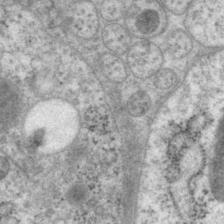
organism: P. pacificus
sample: Pharynx